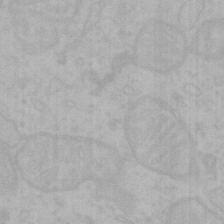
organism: Mouse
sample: Choroid plexus